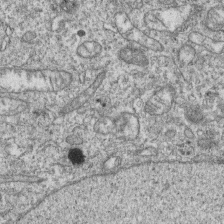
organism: Human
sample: HeLa cell HIV synapse